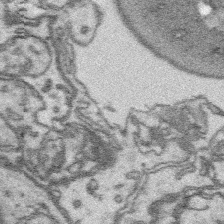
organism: Platynereis dumerilii